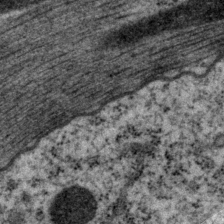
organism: P. pacificus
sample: Pharynx